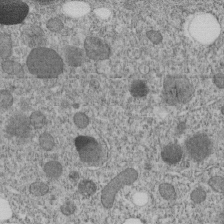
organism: C. elegans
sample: C. elegans embryo early stage